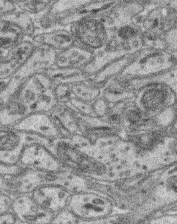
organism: Mouse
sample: Retina